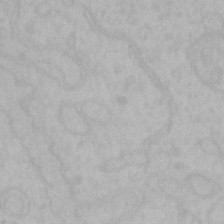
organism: Mouse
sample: Choroid plexus